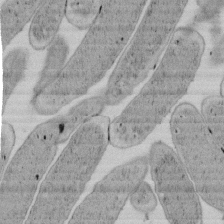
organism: E. coli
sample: Bacterial nucleoid